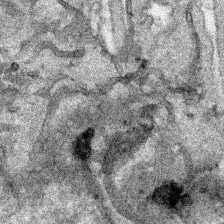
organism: Human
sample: Mitochondria in HCT116 cells